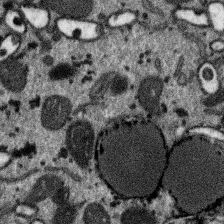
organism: Human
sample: Lung epithelial cells infected with SARS-CoV-2